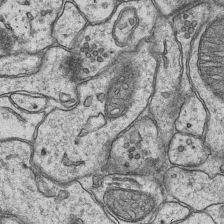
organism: Mouse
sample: CA1 Hippocampus